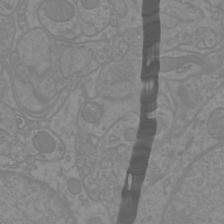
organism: Mouse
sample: Cortical neurons